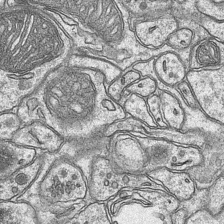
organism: Mouse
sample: CA1 Hippocampus